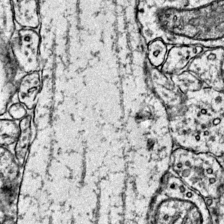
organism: Mouse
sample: Primary visual cortex